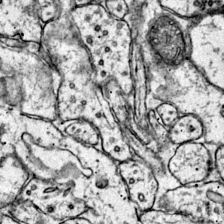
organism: Mouse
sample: Primary visual cortex